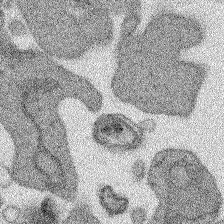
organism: Human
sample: HeLa cells